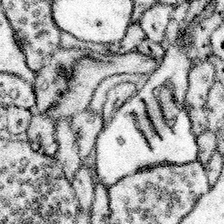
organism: Mouse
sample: Somatosensory cortex neuropil